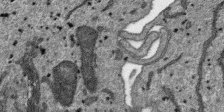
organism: Human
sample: Lung epithelial cells, uninfected (mock) control